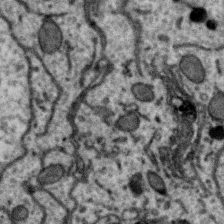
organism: Zebra finch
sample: Brain